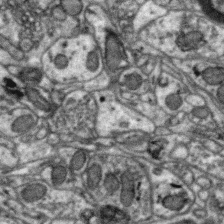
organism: Zebra finch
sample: Brain